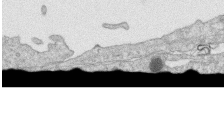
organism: Human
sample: HeLa cell HIV synapse